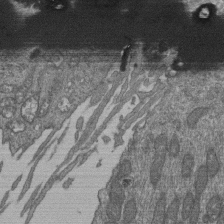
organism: Human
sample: Retinal organoid Rod and Cone cells